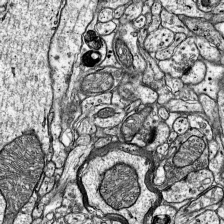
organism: Mouse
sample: Visual Cortex